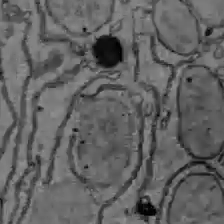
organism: C57BL Mouse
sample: Liver